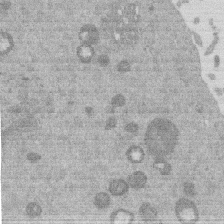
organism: Mouse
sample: Dividing mouse embryo 1 cell stage